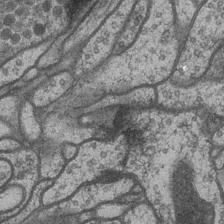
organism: Drosophila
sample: Optic medulla